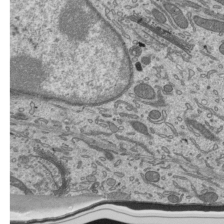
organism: Mouse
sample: Mouse epididymis efferent ductule cilia